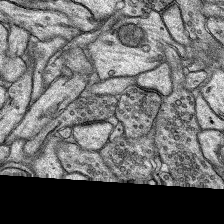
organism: Rat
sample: Hippocampus